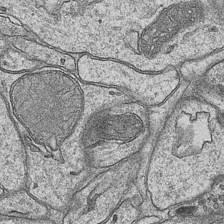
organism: Mouse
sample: CA1 Hippocampus